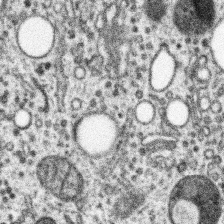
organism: Human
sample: HeLa cells